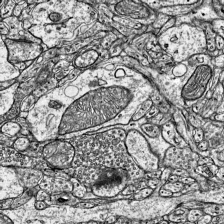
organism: Mouse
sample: Visual Cortex